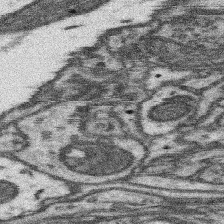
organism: Mouse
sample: Somatosensory cortex neuropil